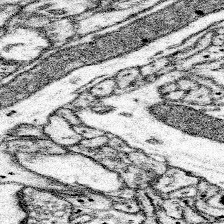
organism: Mouse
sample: Somatosensory cortex neuropil